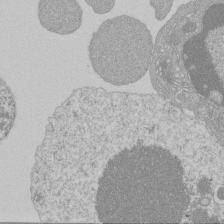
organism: Mouse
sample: Activated Pmel transgenic CD8+ T Cells